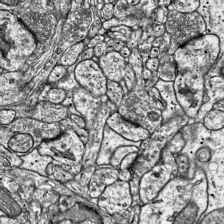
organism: Mouse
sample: Visual Cortex